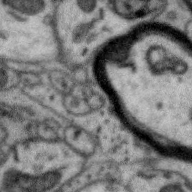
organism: Zebra finch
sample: Brain